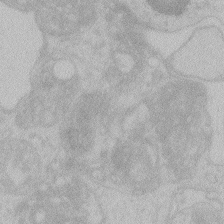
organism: Zebrafish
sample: Macrophage infected with Toxoplasma gondii